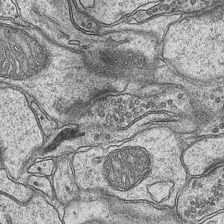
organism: Mouse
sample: CA1 Hippocampus